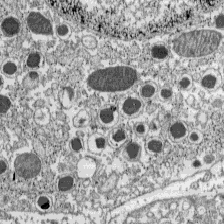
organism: C57BL Mouse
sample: Pancreatic islet